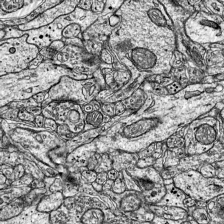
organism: Mouse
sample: Visual Cortex